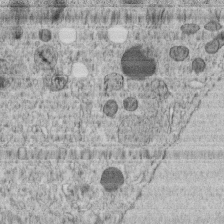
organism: C. elegans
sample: C. elegans embryo early stage